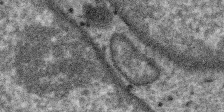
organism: Human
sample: Lung epithelial cells infected with SARS-CoV-2